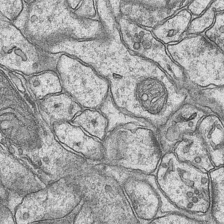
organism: Mouse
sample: CA1 Hippocampus